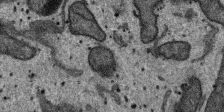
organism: Human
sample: Lung epithelial cells, uninfected (mock) control